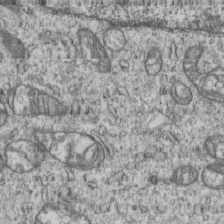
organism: Human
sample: MDA-MB-231 cells